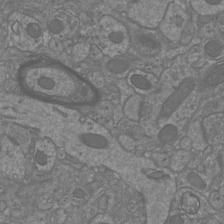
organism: Mouse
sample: Cortical neurons